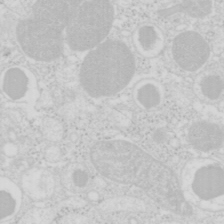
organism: Mouse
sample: Pancreas